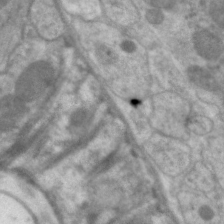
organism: C. elegans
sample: Pharynx